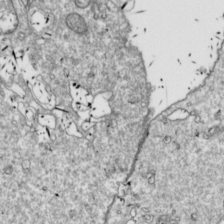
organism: Drosophila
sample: Cell division; meiosis; drosophila spermatocytes